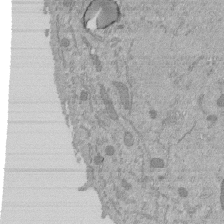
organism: Mouse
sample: ED-1 cell nuclei; centrioles